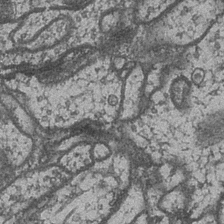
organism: Drosophila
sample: Optic medulla